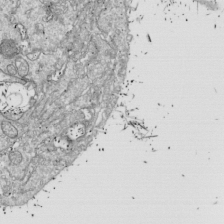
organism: Drosophila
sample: Cell division; meiosis; drosophila spermatocytes